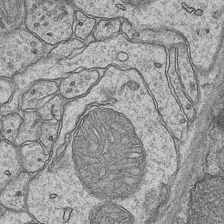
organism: Mouse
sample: CA1 Hippocampus